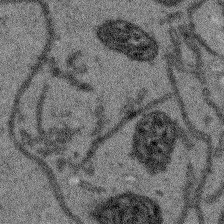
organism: Arabidopsis thaliana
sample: Root tip